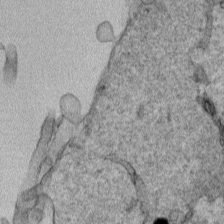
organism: Human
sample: Mitochondria in HCT116 cells